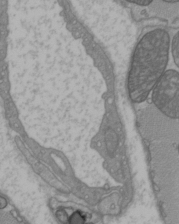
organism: C57BL Mouse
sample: Heart